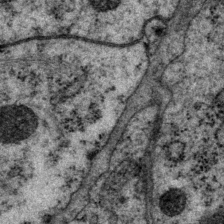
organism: P. pacificus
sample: Pharynx